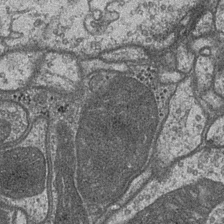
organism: Drosophila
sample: Optic medulla